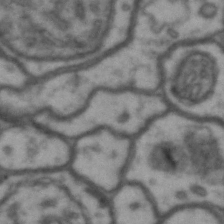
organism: Drosophila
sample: Brain